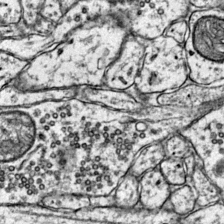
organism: Mouse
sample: Primary visual cortex